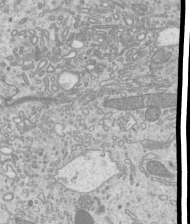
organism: Mouse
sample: Cilia; mouse epididymis